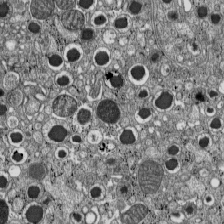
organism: C57BL Mouse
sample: Pancreatic islet